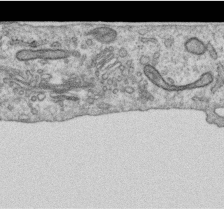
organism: Human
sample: Centriole in RPE cells